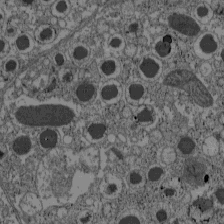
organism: C57BL Mouse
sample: Pancreatic islet